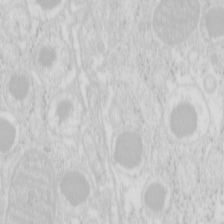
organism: Mouse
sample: Pancreas